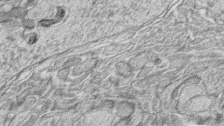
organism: Zebrafish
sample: synaptic ribbons in rod cells and cone cells